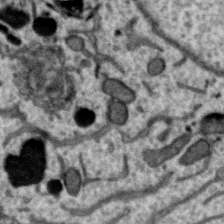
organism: Zebra finch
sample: Brain